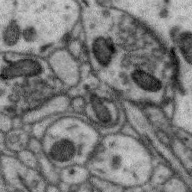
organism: Zebra finch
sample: Brain